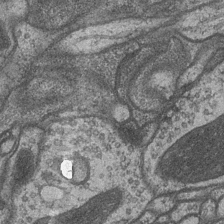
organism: Drosophila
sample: Optic medulla